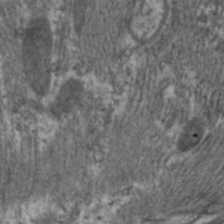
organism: C. elegans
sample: Pharynx